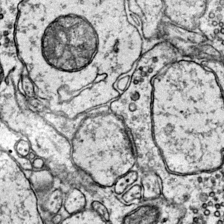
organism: Mouse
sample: Primary visual cortex